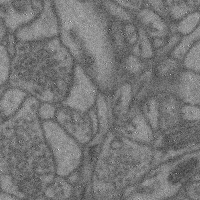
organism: Mouse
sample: Cerebral cortex